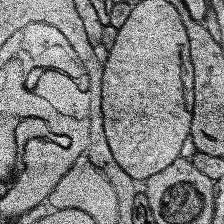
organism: Human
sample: Temporal Lobe